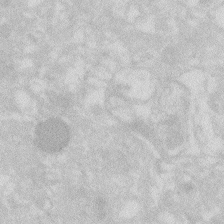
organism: Zebrafish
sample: Macrophage